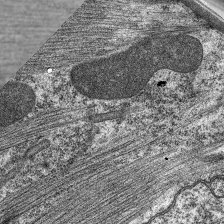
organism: C. elegans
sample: Pharynx